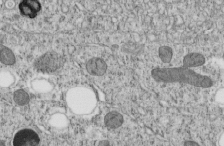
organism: C. elegans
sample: C. elegans embryo early stage